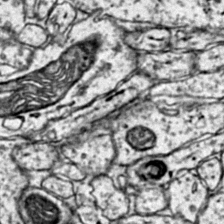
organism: Mouse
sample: Primary visual cortex